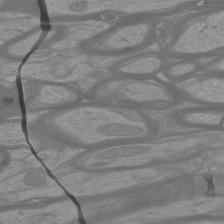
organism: Mouse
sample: Cortical neurons